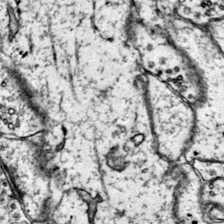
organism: Mouse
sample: Primary visual cortex